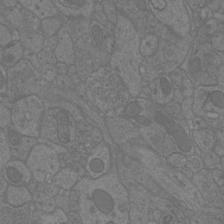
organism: Mouse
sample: Cortical neurons